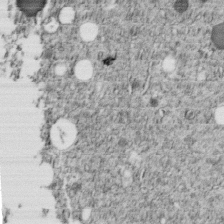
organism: C. elegans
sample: C. elegans embryo early stage